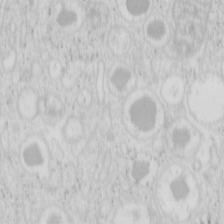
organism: Mouse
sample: Pancreas